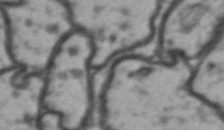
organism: Drosophila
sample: Brain